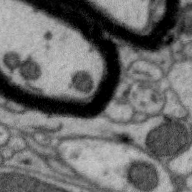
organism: Zebra finch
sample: Brain